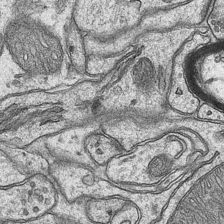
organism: Mouse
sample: CA1 Hippocampus